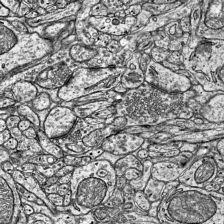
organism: Mouse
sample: Visual Cortex